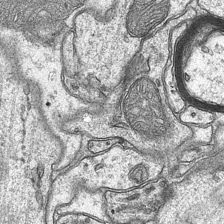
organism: Mouse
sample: CA1 Hippocampus